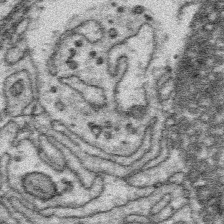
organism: Platynereis dumerilii